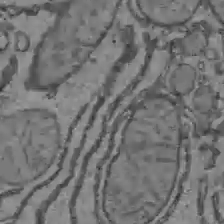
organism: C57BL Mouse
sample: Liver